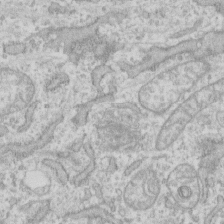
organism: Human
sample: Fibroblast cells